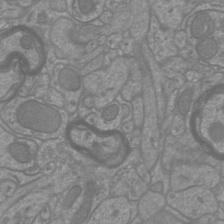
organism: Mouse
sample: Cortical neurons